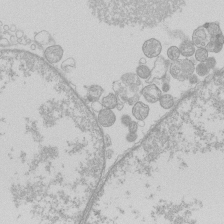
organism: Human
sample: Macrophage cells